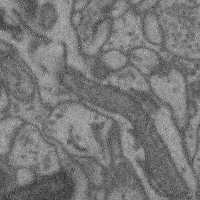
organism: Mouse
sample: Cerebral cortex